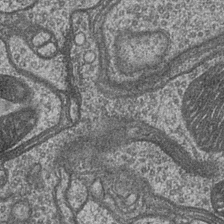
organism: Drosophila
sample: Optic medulla